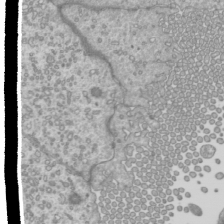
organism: Mouse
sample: Cilia; mouse epididymis